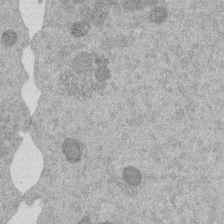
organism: Mouse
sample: Dividing mouse embryo 1 cell stage